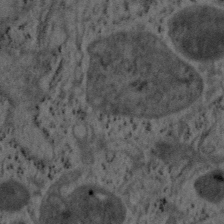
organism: Human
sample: HeLa cells